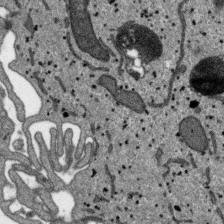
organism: Human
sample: Lung epithelial cells, uninfected (mock) control